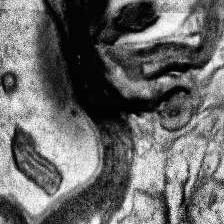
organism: Human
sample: Temporal Lobe